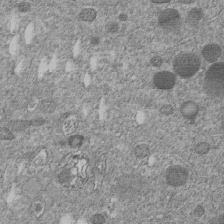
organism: C. elegans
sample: C. elegans embryo early stage